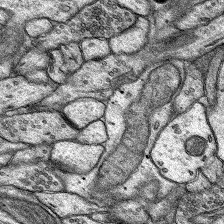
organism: Rat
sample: Hippocampus